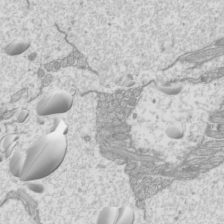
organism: Mouse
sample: Cilia; mouse epididymis